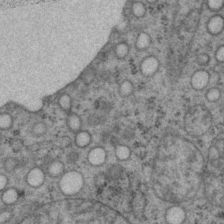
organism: P. pacificus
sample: Pharynx